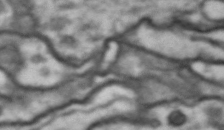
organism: Drosophila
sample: Brain